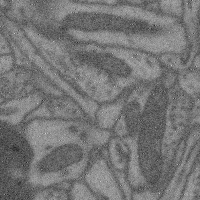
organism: Mouse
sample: Cerebral cortex